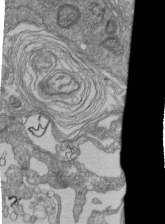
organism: Human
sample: Retinal organoid Rod and Cone cells